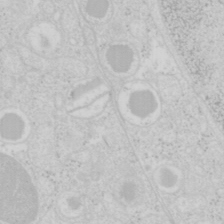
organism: Mouse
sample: Pancreas